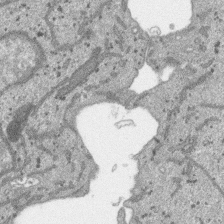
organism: Human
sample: Lung epithelial cells infected with SARS-CoV-2